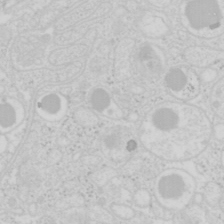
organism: Mouse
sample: Pancreas